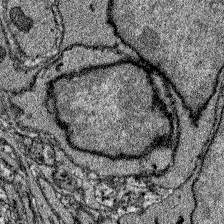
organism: Zebrafish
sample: Larval olfactory bulb